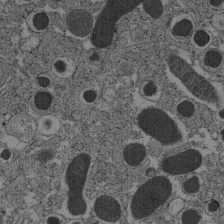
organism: C57BL Mouse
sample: Pancreatic islet